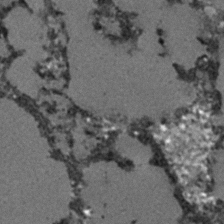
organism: C. elegans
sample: C. elegans embryo